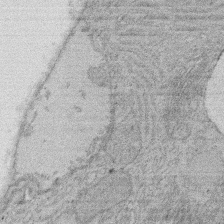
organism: Rat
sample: Salivary granule